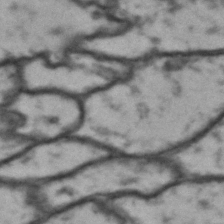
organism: Drosophila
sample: Brain